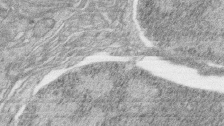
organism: Zebrafish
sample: synaptic ribbons in rod cells and cone cells